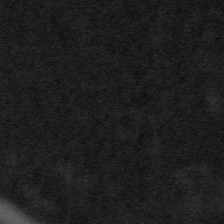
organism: Tuwongella immobilis